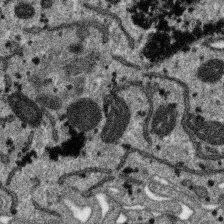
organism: Human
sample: Lung epithelial cells infected with SARS-CoV-2